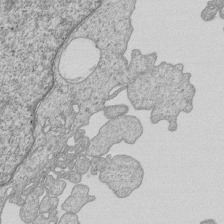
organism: Human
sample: MDA-MB-231 cells